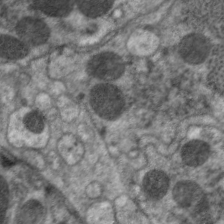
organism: C. elegans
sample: Pharynx